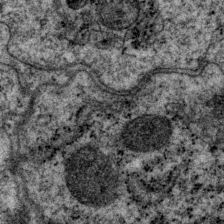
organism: P. pacificus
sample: Pharynx